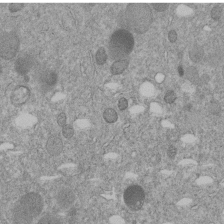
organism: C. elegans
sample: C. elegans embryo early stage